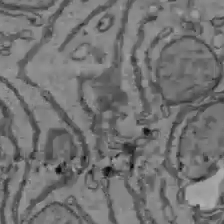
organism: C57BL Mouse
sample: Liver